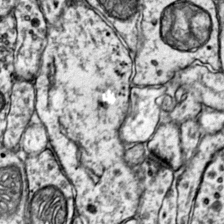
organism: Mouse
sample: Primary visual cortex